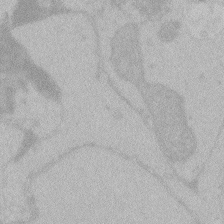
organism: Zebrafish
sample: Macrophage infected with Toxoplasma gondii